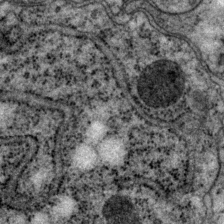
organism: P. pacificus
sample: Pharynx